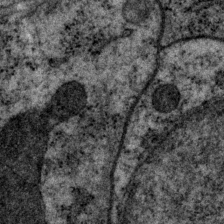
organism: P. pacificus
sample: Pharynx